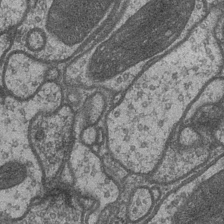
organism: Drosophila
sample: Optic medulla